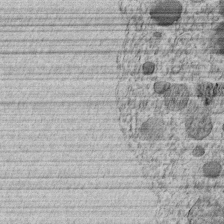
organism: C. elegans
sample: C. elegans embryo early stage